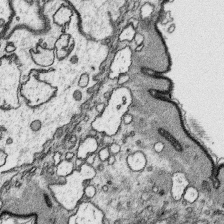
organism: Platynereis dumerilii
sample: Parapodia